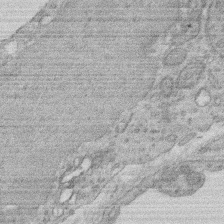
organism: Rat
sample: Salivary granule